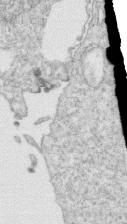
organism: Human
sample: HeLa cell HIV synapse